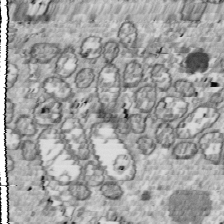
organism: Drosophila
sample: Cell division; meiosis; drosophila spermatocytes